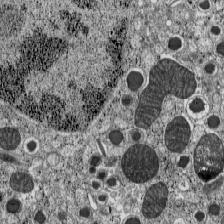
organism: C57BL Mouse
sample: Pancreatic islet